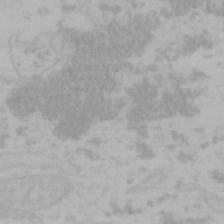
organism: Mouse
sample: Choroid plexus